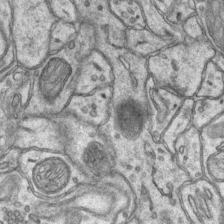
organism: Mouse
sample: CA1 Hippocampus